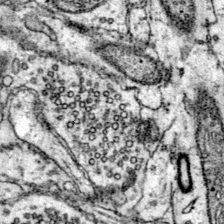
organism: Mouse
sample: Primary visual cortex